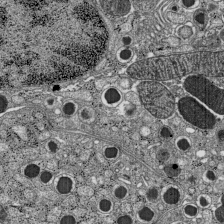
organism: C57BL Mouse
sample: Pancreatic islet